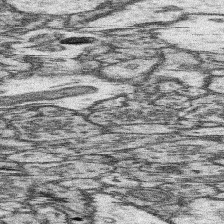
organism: Mouse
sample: Somatosensory cortex neuropil